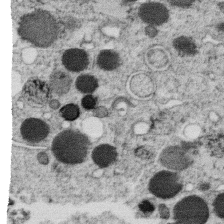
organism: C. elegans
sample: C. elegans oocyte; sperm cells